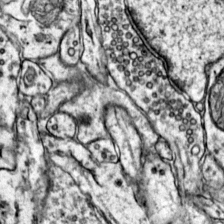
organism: Mouse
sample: Primary visual cortex